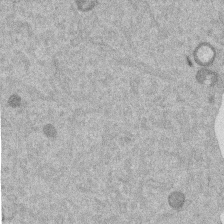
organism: Mouse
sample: Dividing mouse embryo 1 cell stage